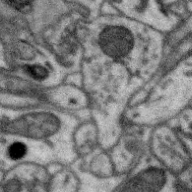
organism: Zebra finch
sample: Brain